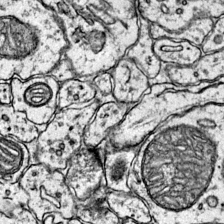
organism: Mouse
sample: Primary visual cortex